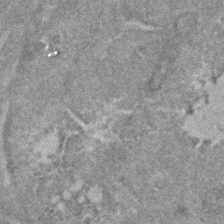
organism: C. elegans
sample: C. elegans embryo